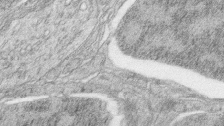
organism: Zebrafish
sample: synaptic ribbons in rod cells and cone cells